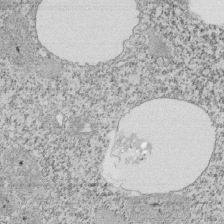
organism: Tetrahymena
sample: Cilia in tetrahymena